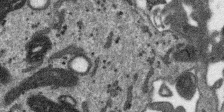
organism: Human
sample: Lung epithelial cells infected with SARS-CoV-2